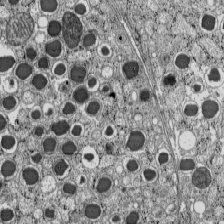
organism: C57BL Mouse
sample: Pancreatic islet